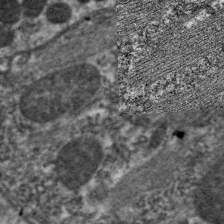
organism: C. elegans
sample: Pharynx